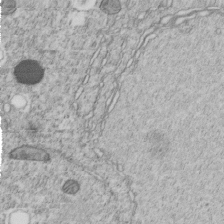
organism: C. elegans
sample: C. elegans embryo early stage